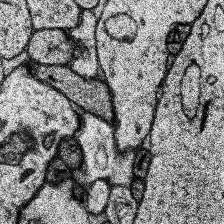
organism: Human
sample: Temporal Lobe